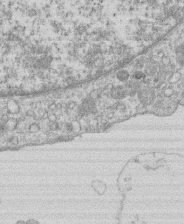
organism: Human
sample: Macrophage cells